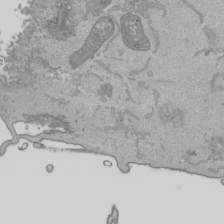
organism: Human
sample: Mitochondria in HCT116 cells